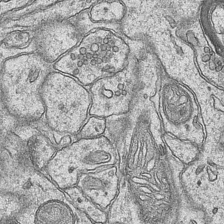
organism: Mouse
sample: CA1 Hippocampus